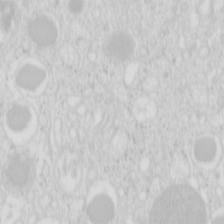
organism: Mouse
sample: Pancreas